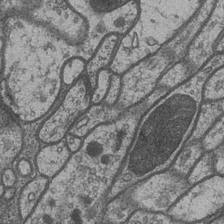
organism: Drosophila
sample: Optic medulla